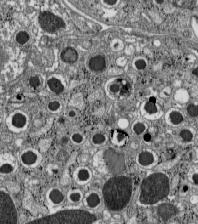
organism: C57BL Mouse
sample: Pancreatic islet